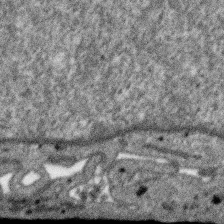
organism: Human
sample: Lung epithelial cells infected with SARS-CoV-2